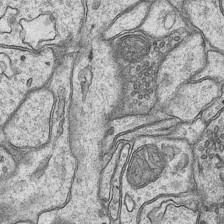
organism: Mouse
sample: CA1 Hippocampus